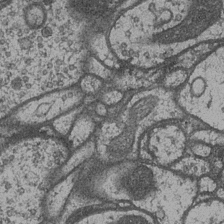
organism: Drosophila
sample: Optic medulla